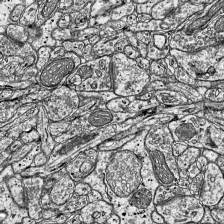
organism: Mouse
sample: Visual Cortex